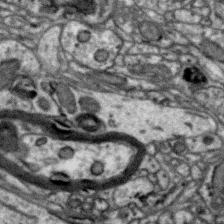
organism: Zebra finch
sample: Brain